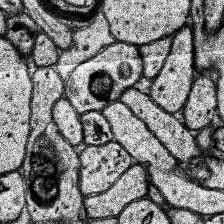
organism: Human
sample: Temporal Lobe